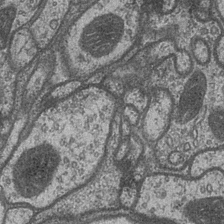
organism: Drosophila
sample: Optic medulla